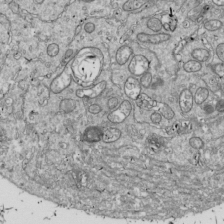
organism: Drosophila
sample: Cell division; meiosis; drosophila spermatocytes